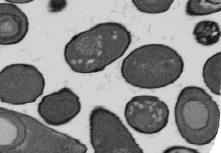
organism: B. subtilis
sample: Bacterial spore